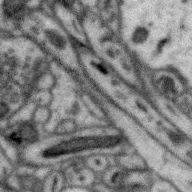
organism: Zebra finch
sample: Brain